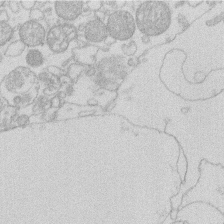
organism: Human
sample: Macrophage cells